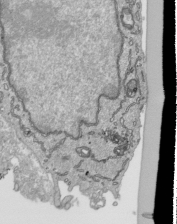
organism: Human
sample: Mitochondria in HCT116 cells